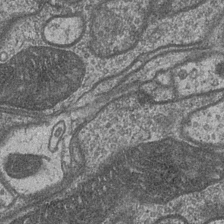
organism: Drosophila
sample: Optic medulla